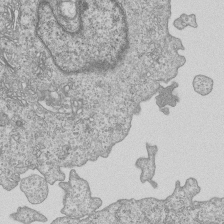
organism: Human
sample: MDA-MB-231 cells